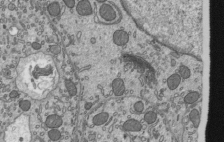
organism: Mouse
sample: Mouse epididymis efferent ductule cilia